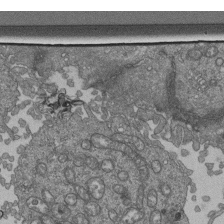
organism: Human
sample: Retinal organoid Rod and Cone cells